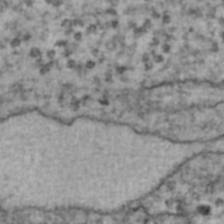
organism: Human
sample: Blood